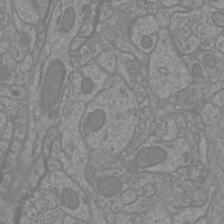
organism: Mouse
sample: Cortical neurons